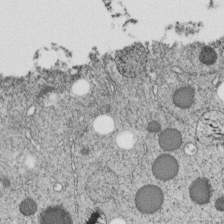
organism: C. elegans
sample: C. elegans embryo early stage